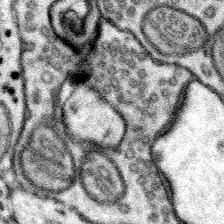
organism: Mouse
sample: Somatosensory cortex neuropil